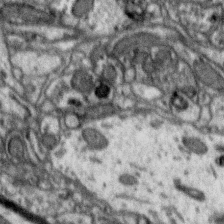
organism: Zebra finch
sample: Brain